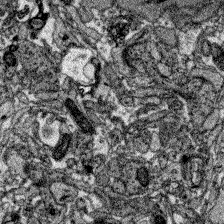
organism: Zebrafish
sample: Larval olfactory bulb